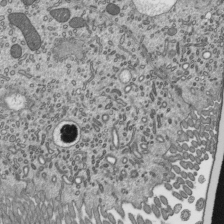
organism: Mouse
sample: Mouse epididymis efferent ductule cilia